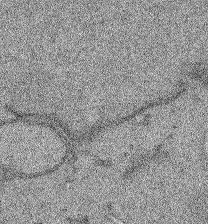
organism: Human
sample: HeLa cells